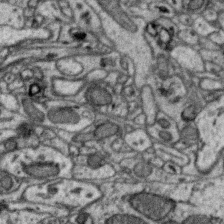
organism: Zebra finch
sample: Brain